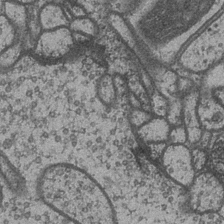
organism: Drosophila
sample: Optic medulla